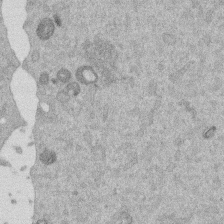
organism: Mouse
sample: Dividing mouse embryo 1 cell stage